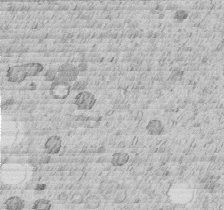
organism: C. elegans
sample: C. elegans embryo early stage